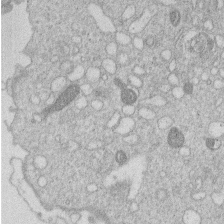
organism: Human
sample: Macrophage cells